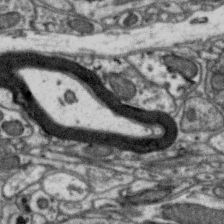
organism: Zebra finch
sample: Brain